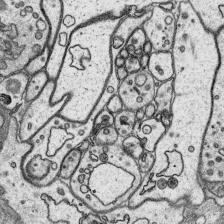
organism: Platynereis dumerilii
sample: Parapodia